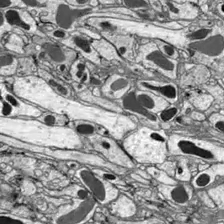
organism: Drosophila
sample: Optic lobe